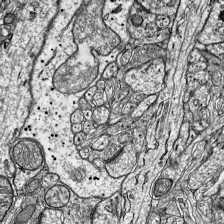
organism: Mouse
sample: Visual Cortex